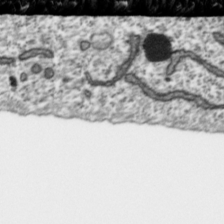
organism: Toxoplasma gondii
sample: Parasites in a vacuole inside a host cell